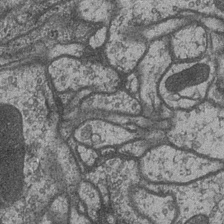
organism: Drosophila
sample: Optic medulla